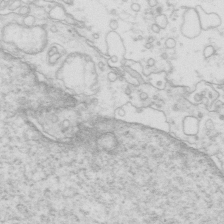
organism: Mouse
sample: Multiciliated cells